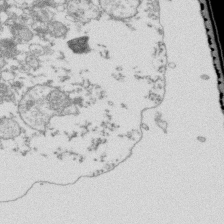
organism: Human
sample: HeLa cell HIV synapse